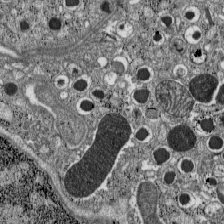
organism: C57BL Mouse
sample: Pancreatic islet